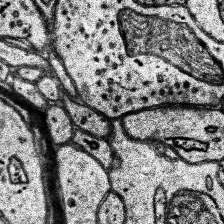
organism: Human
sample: Temporal Lobe